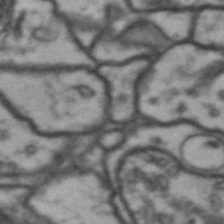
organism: Drosophila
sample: Brain